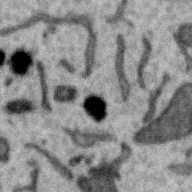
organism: Zebra finch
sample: Brain